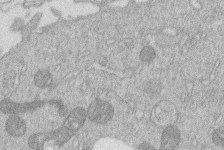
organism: Human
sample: Macrophage cells